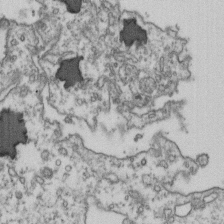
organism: Human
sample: Activated Jurkat CD4+ T cells